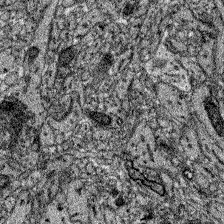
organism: Zebrafish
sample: Larval olfactory bulb